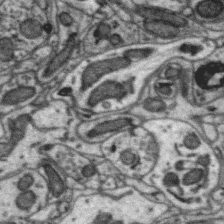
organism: Zebra finch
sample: Brain